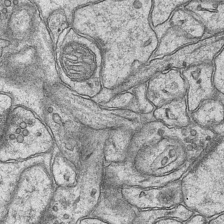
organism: Mouse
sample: CA1 Hippocampus